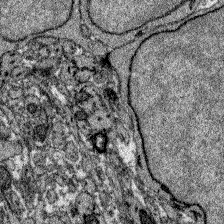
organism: Zebrafish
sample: Larval olfactory bulb